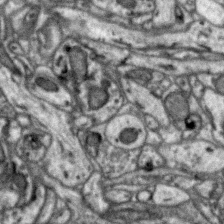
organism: Zebra finch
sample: Brain